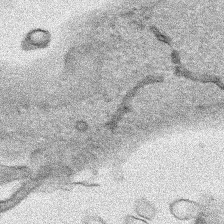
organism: Human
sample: Mitochondria in HCT116 cells